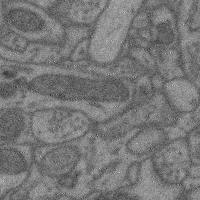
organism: Mouse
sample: Cerebral cortex